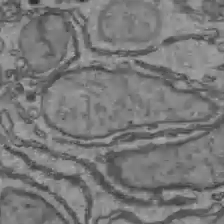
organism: C57BL Mouse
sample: Liver